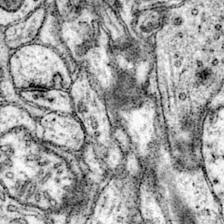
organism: Mouse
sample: Primary visual cortex